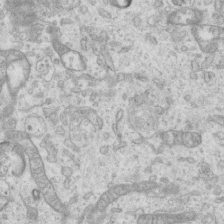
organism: Mouse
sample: Centriole in ependymal cells